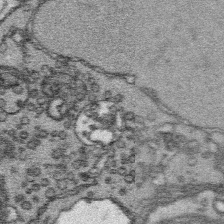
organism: Platynereis dumerilii